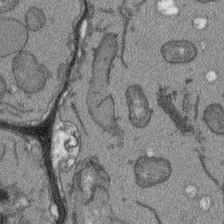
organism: Arabidopsis thaliana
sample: Root tip